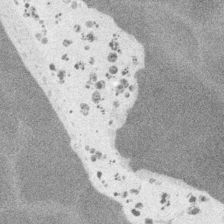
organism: Embia sp.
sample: Silk gland